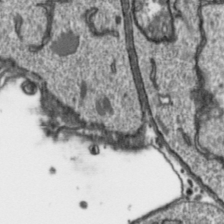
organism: Toxoplasma gondii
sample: Parasites in a vacuole inside a host cell